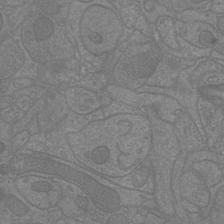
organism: Mouse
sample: Cortical neurons